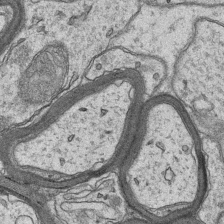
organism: Mouse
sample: CA1 Hippocampus